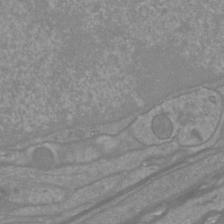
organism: Mouse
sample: Cortical neurons